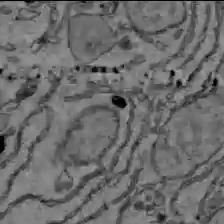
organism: C57BL Mouse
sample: Liver